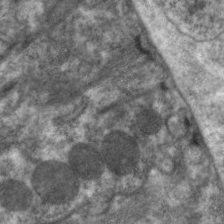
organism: C. elegans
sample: Pharynx